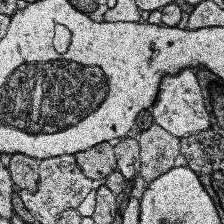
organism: Human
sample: Temporal Lobe